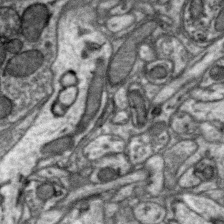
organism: Zebra finch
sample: Brain